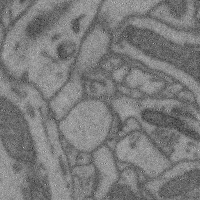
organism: Mouse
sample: Cerebral cortex